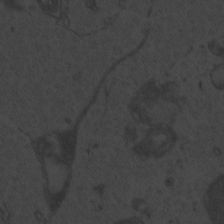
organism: Zebrafish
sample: Macrophage infected with Toxoplasma gondii